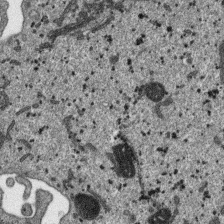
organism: Human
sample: Lung epithelial cells infected with SARS-CoV-2